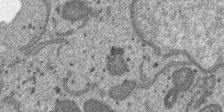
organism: Human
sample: Lung epithelial cells infected with SARS-CoV-2